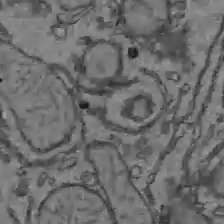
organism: C57BL Mouse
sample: Liver